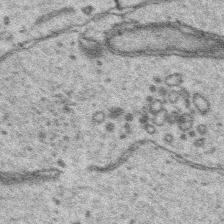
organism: Platynereis dumerilii